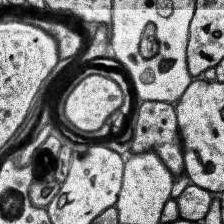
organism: Human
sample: Temporal Lobe